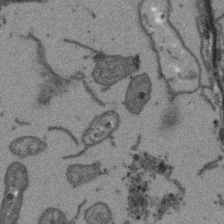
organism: Arabidopsis thaliana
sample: Root tip